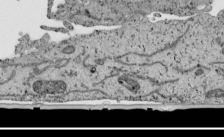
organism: Human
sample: Mitochondria in HCT116 cells